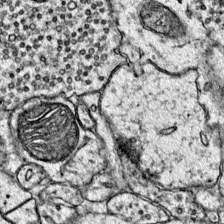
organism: Mouse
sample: Primary visual cortex